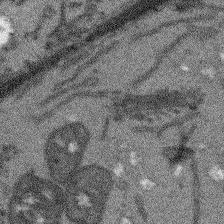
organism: Arabidopsis thaliana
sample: Root tip